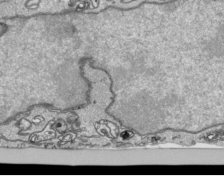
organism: Human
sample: Mitochondria in HCT116 cells